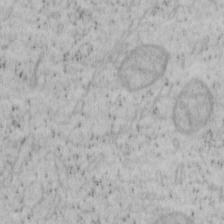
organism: Human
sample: HeLa cells